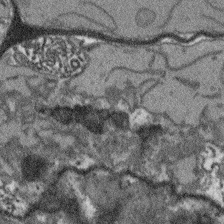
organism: Arabidopsis thaliana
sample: Root tip